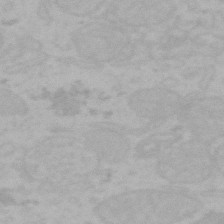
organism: Mouse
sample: Choroid plexus